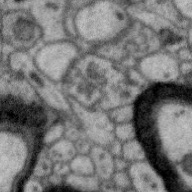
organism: Zebra finch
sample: Brain